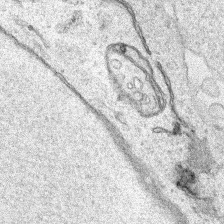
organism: Human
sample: Mitochondria in HCT116 cells